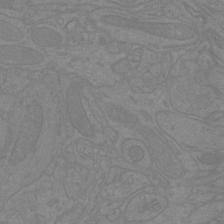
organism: Mouse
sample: Cortical neurons